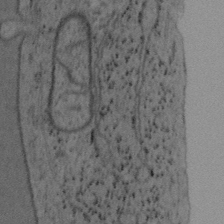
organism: Human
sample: HeLa cells